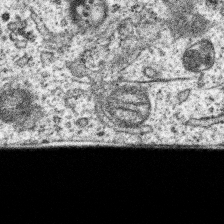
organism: Human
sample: HeLa cells